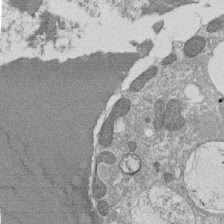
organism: Tetrahymena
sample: Cilia in tetrahymena